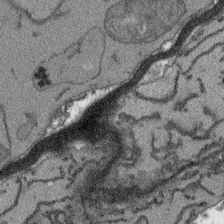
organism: Arabidopsis thaliana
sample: Root tip